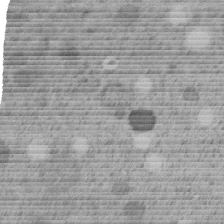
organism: C. elegans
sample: C. elegans embryo early stage